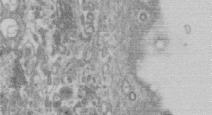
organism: Human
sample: Centriole in RPE cells